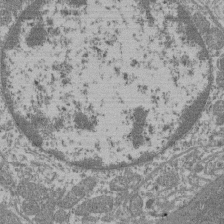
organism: Mouse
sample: Glomerulus